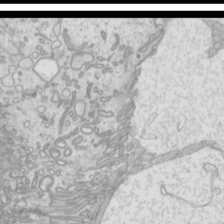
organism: Mouse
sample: Cilia; mouse epididymis